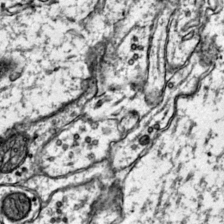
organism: Mouse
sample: Primary visual cortex